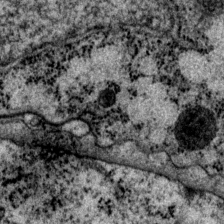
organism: P. pacificus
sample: Pharynx